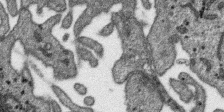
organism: Human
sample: Lung epithelial cells infected with SARS-CoV-2